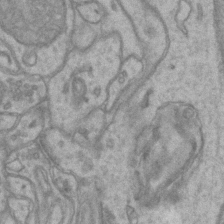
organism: Mouse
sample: CA1 Hippocampus